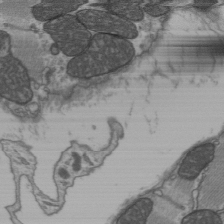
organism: C57BL Mouse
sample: Heart